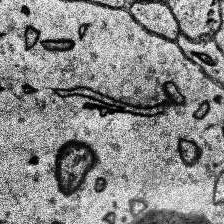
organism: Human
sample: Temporal Lobe